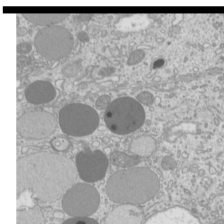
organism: Mouse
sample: Cilia; mouse epididymis